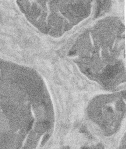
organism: Mouse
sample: T cell stromal cell synapse